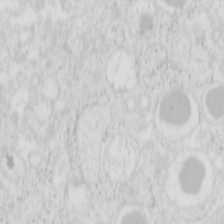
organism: Mouse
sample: Pancreas